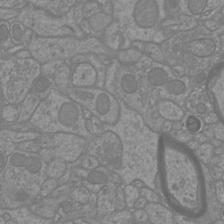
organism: Mouse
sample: Cortical neurons